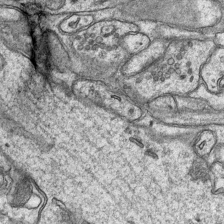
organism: Mouse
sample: CA1 Hippocampus